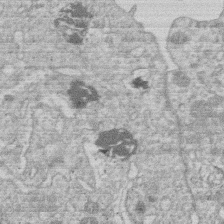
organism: Human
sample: Macrophage cells